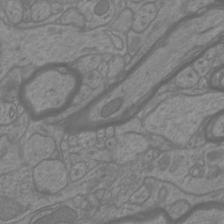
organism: Mouse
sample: Cortical neurons